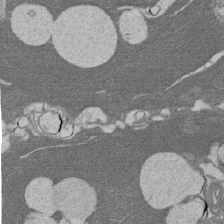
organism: Rat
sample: Salivary granule